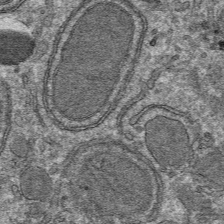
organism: Mouse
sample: Mouse hepatocytes